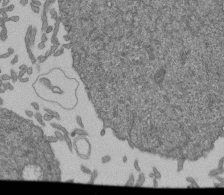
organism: Human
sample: Retinal organoid Rod and Cone cells